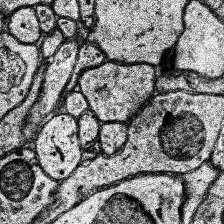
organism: Human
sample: Temporal Lobe